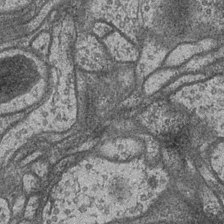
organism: Drosophila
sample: Optic medulla